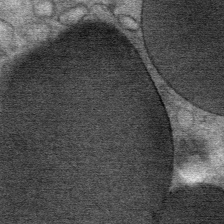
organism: Mouse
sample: Mouse Salivary gland